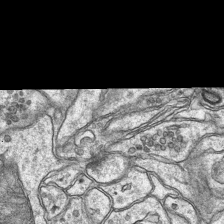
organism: Mouse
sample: CA1 Hippocampus